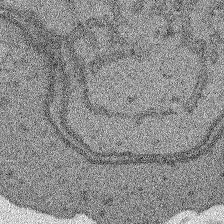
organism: Human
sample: HeLa cells